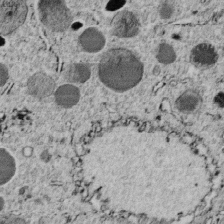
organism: C. elegans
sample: C. elegans embryo early stage